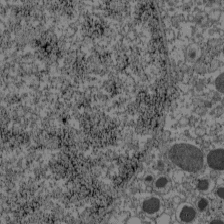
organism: C57BL Mouse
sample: Pancreatic islet